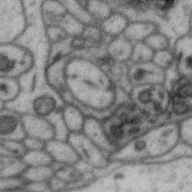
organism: Zebra finch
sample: Brain